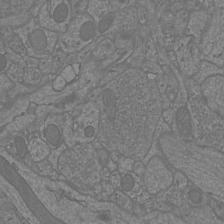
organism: Mouse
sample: Cortical neurons